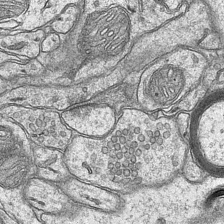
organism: Mouse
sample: CA1 Hippocampus